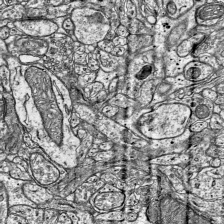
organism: Mouse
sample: Visual Cortex